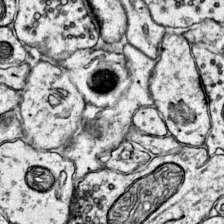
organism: Mouse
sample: Primary visual cortex